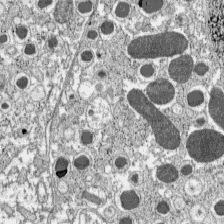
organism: C57BL Mouse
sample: Pancreatic islet